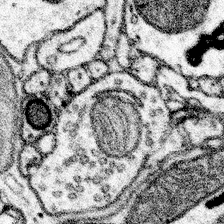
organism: Mouse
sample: Somatosensory cortex neuropil